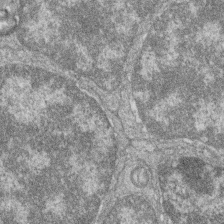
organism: Zebrafish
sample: Cilia; retinal pigment epithelium